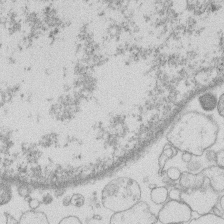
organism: Human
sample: Macrophage cells